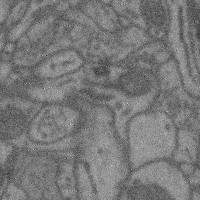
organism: Mouse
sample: Cerebral cortex